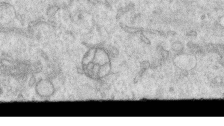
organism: Human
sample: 1205lu cells